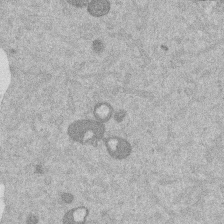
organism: Mouse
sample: Dividing mouse embryo 1 cell stage